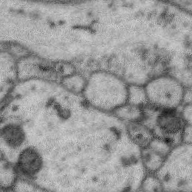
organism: Zebra finch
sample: Brain